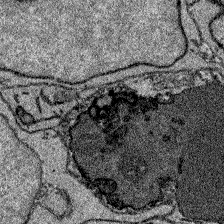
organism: Zebrafish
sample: Larval olfactory bulb